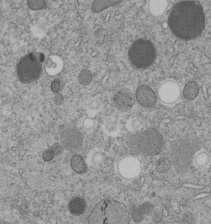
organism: C. elegans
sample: C. elegans embryo early stage